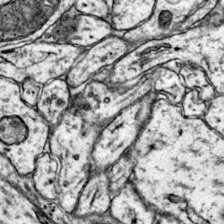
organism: Mouse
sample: Primary visual cortex